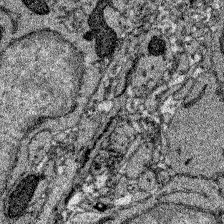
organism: Zebrafish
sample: Larval olfactory bulb